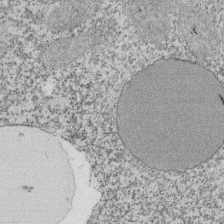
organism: Tetrahymena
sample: Cilia in tetrahymena